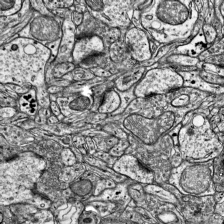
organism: Mouse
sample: Visual Cortex